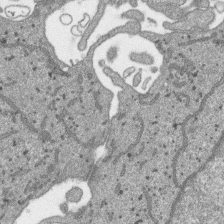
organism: Human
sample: Lung epithelial cells infected with SARS-CoV-2